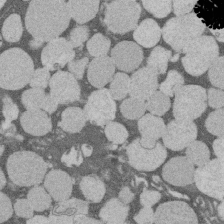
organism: Rat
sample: Salivary granule